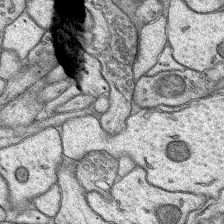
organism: Rat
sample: Hippocampus